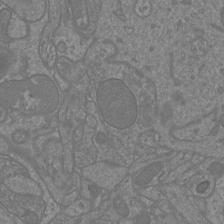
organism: Mouse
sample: Cortical neurons